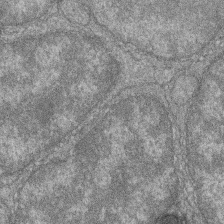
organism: Zebrafish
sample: Cilia; retinal pigment epithelium